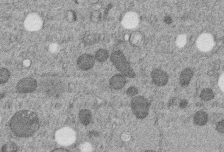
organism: C. elegans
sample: C. elegans embryo early stage